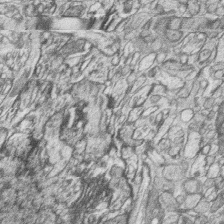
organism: Zebrafish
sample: synaptic ribbons in rod cells and cone cells